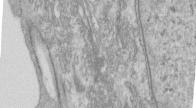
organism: Human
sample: Centriole in RPE cells